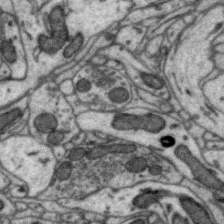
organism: Zebra finch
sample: Brain